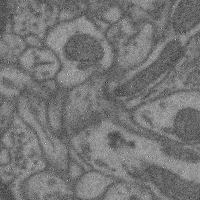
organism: Mouse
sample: Cerebral cortex